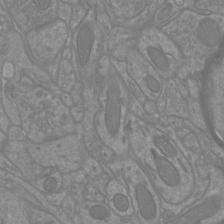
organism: Mouse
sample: Cortical neurons